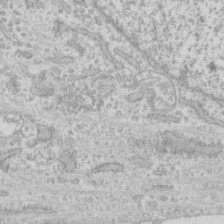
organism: Human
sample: Fibroblast cells